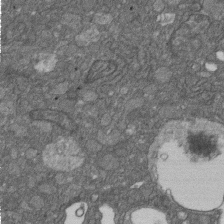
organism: Drosophila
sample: Nephrocyte